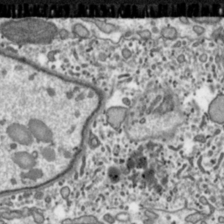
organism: Toxoplasma gondii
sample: Parasites in a vacuole inside a host cell